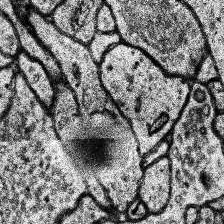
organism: Human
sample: Temporal Lobe